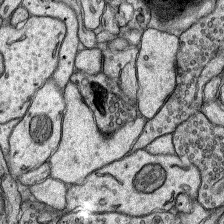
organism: Rat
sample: Hippocampus